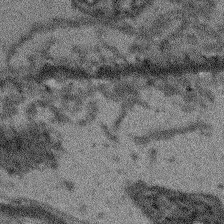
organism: Arabidopsis thaliana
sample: Root tip